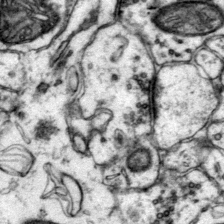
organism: Mouse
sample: Primary visual cortex